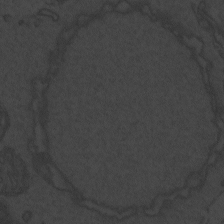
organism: Zebrafish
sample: Macrophage infected with Toxoplasma gondii